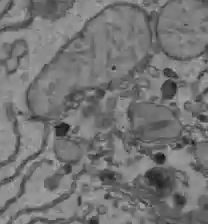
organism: C57BL Mouse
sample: Liver